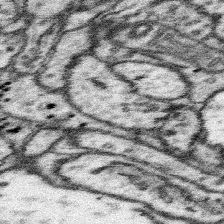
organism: Mouse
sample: Somatosensory cortex neuropil